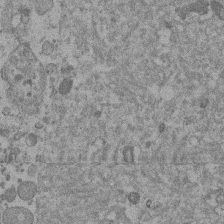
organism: Mouse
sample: Dividing mouse embryo 1 cell stage